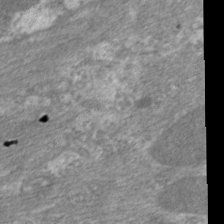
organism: C. elegans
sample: Pharynx